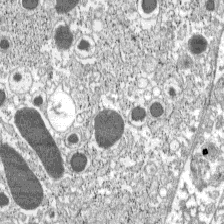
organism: C57BL Mouse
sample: Pancreatic islet